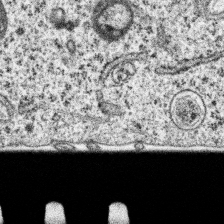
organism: Human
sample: HeLa cells